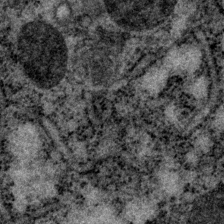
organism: P. pacificus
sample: Pharynx